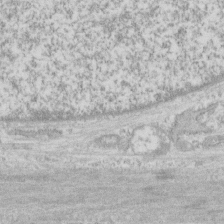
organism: Human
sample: CRL-1474